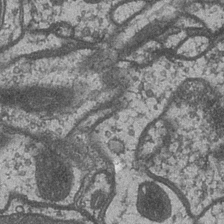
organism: Drosophila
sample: Optic medulla